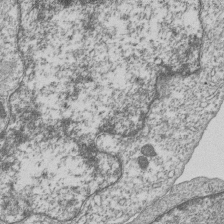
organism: Human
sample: MDA-MB-231 cells